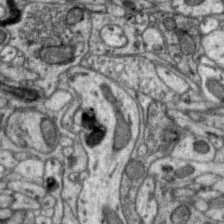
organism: Zebra finch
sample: Brain